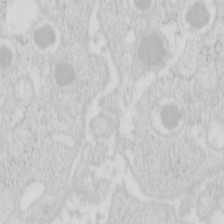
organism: Mouse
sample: Pancreas